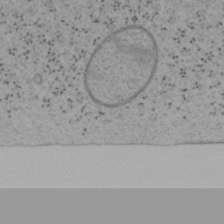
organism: Human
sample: HeLa cells